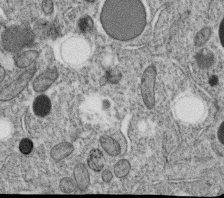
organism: C. elegans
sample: C. elegans oocyte; sperm cells